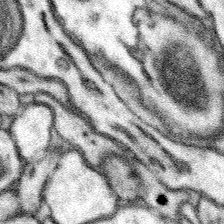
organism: Mouse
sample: Somatosensory cortex neuropil